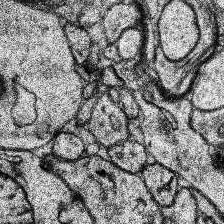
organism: Human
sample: Temporal Lobe